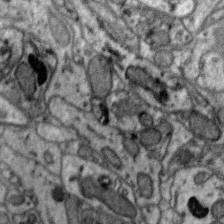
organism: Zebra finch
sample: Brain